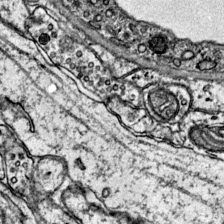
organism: Mouse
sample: Primary visual cortex